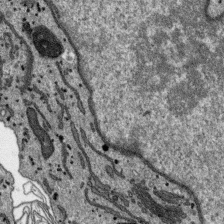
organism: Human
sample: Lung epithelial cells, uninfected (mock) control